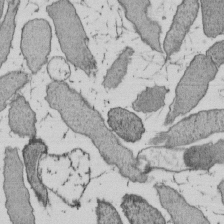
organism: E. coli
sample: Bacterial nucleoid